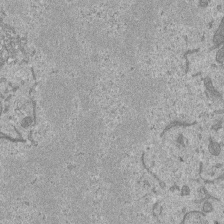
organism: Mouse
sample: ED-1 cell nuclei; centrioles